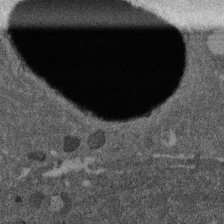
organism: Mouse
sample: Dividing mouse embryo 1 cell stage